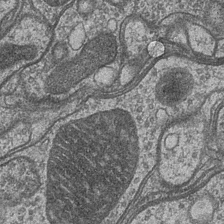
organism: Drosophila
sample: Optic medulla